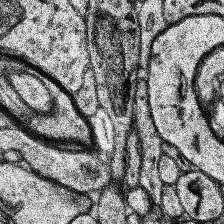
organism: Human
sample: Temporal Lobe